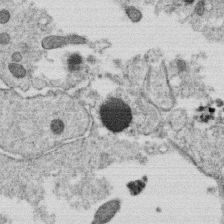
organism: C. elegans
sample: C. elegans oocyte; sperm cells